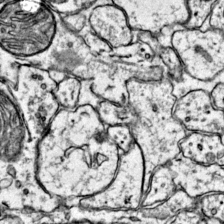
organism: Mouse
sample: Primary visual cortex